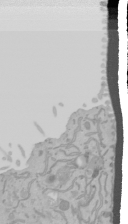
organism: Mouse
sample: Cancer cell death in ED-1 cells